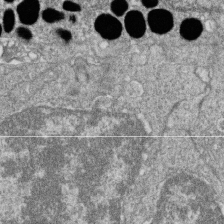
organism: Zebrafish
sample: Cilia; retinal pigment epithelium